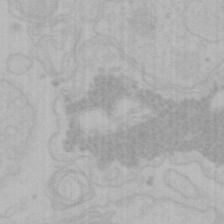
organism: Mouse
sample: Choroid plexus